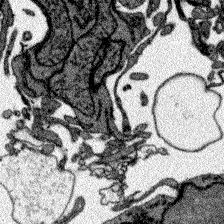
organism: Zebrafish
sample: Larval olfactory bulb